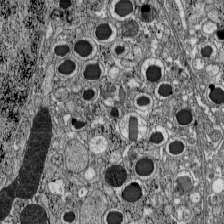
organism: C57BL Mouse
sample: Pancreatic islet